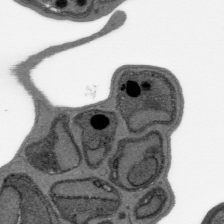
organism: Plasmodium falciparum